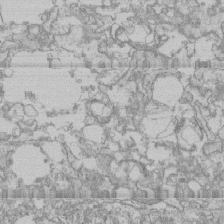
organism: Human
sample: CRL-1474